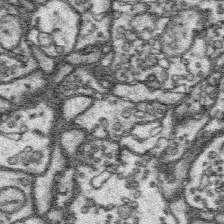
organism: Platynereis dumerilii